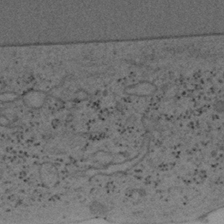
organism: Human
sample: HeLa cells